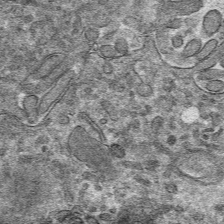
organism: Mouse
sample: Mouse hepatocytes